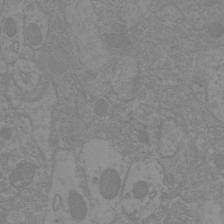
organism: Mouse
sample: Cortical neurons